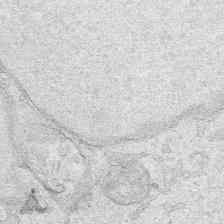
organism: Human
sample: Mitochondria in HCT116 cells